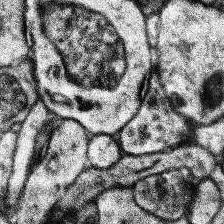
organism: Human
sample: Temporal Lobe